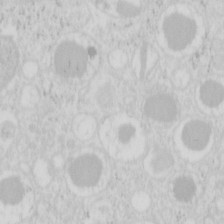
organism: Mouse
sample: Pancreas